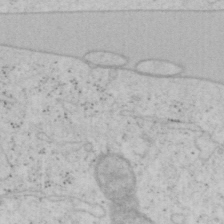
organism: Human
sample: HeLa cells